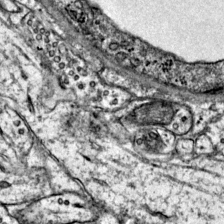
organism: Mouse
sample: Primary visual cortex